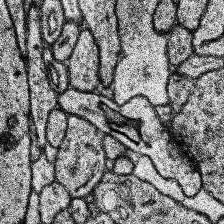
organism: Human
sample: Temporal Lobe